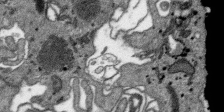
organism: Human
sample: Lung epithelial cells, uninfected (mock) control